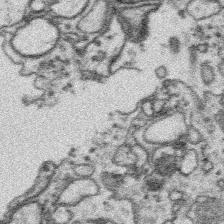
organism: Platynereis dumerilii